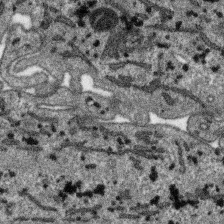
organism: Human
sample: Lung epithelial cells infected with SARS-CoV-2